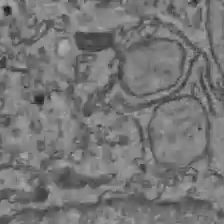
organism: C57BL Mouse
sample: Liver